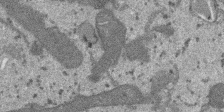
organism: Human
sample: Lung epithelial cells infected with SARS-CoV-2